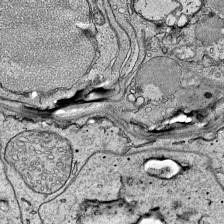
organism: Mouse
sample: Visual Cortex